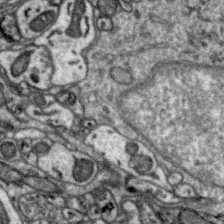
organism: Zebra finch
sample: Brain